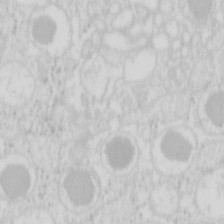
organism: Mouse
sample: Pancreas